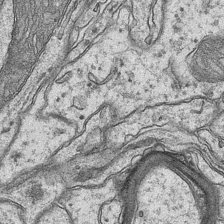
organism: Mouse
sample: CA1 Hippocampus